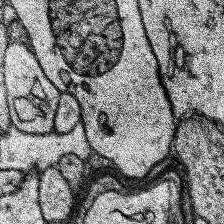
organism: Human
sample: Temporal Lobe